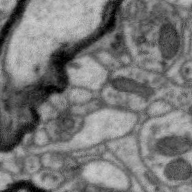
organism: Zebra finch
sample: Brain